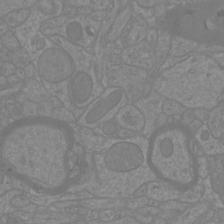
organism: Mouse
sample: Cortical neurons